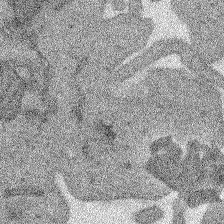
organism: Human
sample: HeLa cells